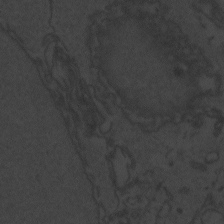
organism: Zebrafish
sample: Macrophage infected with Toxoplasma gondii